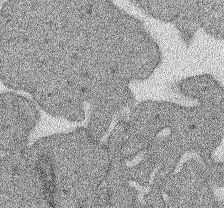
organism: Human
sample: HeLa cells